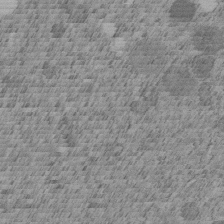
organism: C. elegans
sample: C. elegans embryo early stage